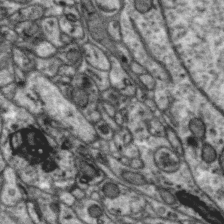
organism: Zebra finch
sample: Brain